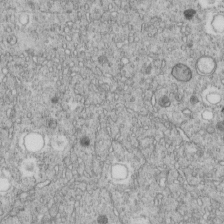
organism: C. elegans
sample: C. elegans embryo early stage